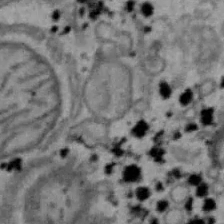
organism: Mouse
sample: Liver